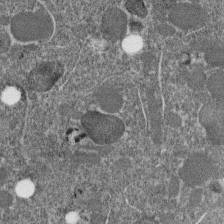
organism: C. elegans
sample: C. elegans embryo early stage